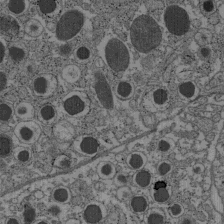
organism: C57BL Mouse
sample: Pancreatic islet